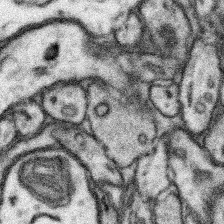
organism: Mouse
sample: Somatosensory cortex neuropil